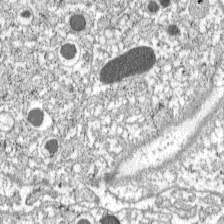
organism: C57BL Mouse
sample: Pancreatic islet